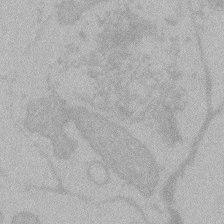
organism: Zebrafish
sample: Macrophage infected with Toxoplasma gondii